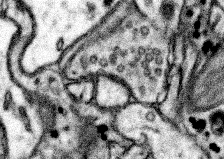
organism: Mouse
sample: Somatosensory cortex neuropil